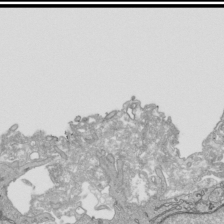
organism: Human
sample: Mitochondria in HCT116 cells